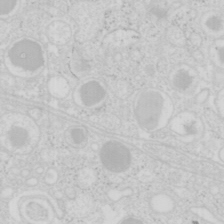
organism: Mouse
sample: Pancreas